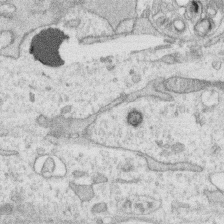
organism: Human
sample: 1205lu cells